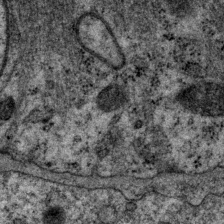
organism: P. pacificus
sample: Pharynx